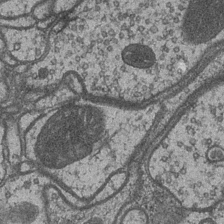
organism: Drosophila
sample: Optic medulla